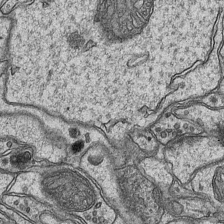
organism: Mouse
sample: CA1 Hippocampus